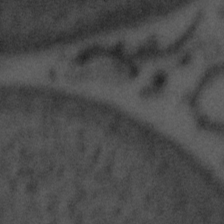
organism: Tuwongella immobilis